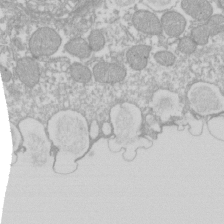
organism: Xenopus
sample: Cilia; centrioles in frog embryo cells